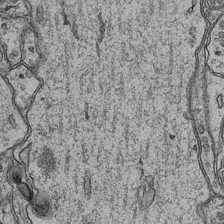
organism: Mouse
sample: CA1 Hippocampus